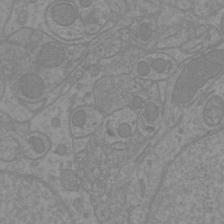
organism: Mouse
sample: Cortical neurons